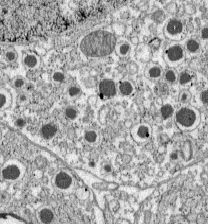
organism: C57BL Mouse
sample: Pancreatic islet